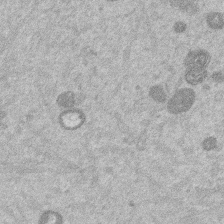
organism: Mouse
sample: Dividing mouse embryo 1 cell stage